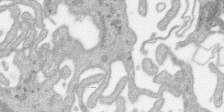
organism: Human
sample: Lung epithelial cells infected with SARS-CoV-2